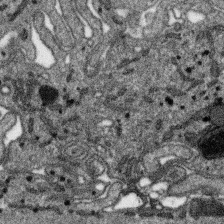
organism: Human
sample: Lung epithelial cells infected with SARS-CoV-2